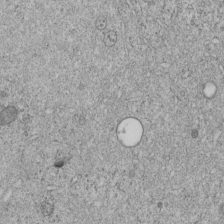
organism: C. elegans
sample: C. elegans embryo early stage